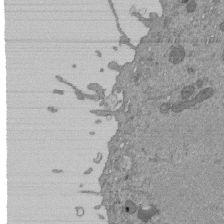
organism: Mouse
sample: ED-1 cell nuclei; centrioles